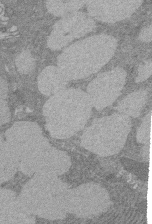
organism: Rat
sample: Salivary granule